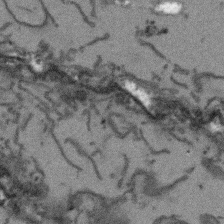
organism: Arabidopsis thaliana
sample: Root tip